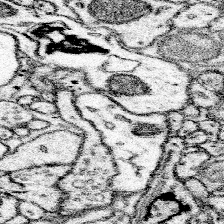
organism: Mouse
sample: Somatosensory cortex neuropil